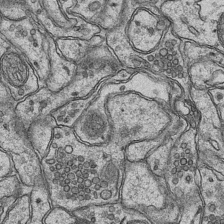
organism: Mouse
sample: CA1 Hippocampus